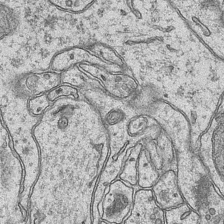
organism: Mouse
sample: CA1 Hippocampus